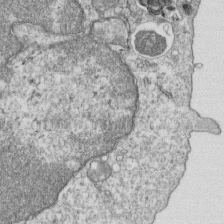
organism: Mouse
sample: Activated OT-1 CD8+ T cells